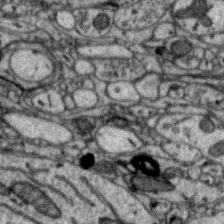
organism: Zebra finch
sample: Brain